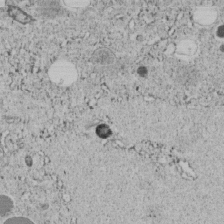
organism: C. elegans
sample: C. elegans embryo early stage